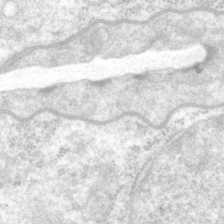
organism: P. pacificus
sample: Pharynx